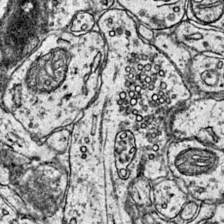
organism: Mouse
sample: Primary visual cortex